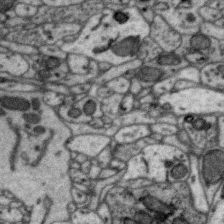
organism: Zebra finch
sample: Brain